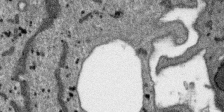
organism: Human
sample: Lung epithelial cells, uninfected (mock) control